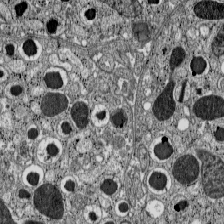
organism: C57BL Mouse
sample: Pancreatic islet